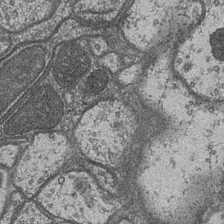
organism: Drosophila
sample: Optic medulla